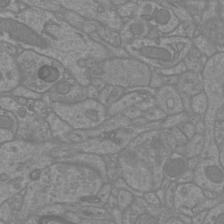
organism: Mouse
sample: Cortical neurons